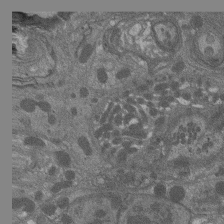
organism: Drosophila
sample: Antenna